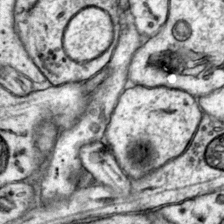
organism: Mouse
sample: Primary visual cortex